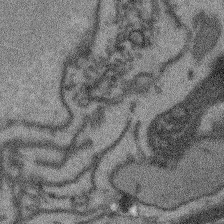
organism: Arabidopsis thaliana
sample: Root tip